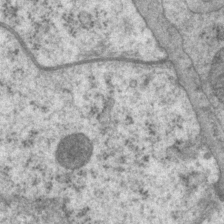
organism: P. pacificus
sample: Pharynx